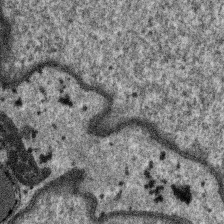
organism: Human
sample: Lung epithelial cells infected with SARS-CoV-2